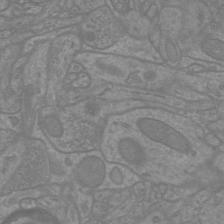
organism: Mouse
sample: Cortical neurons